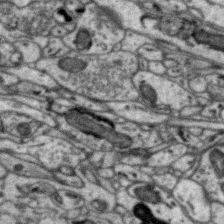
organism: Zebra finch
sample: Brain